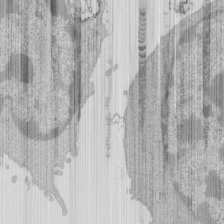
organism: Mouse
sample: Activated Pmel transgenic CD8+ T Cells